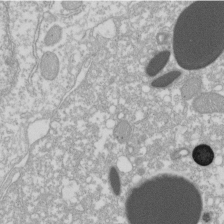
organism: Xenopus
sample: Cilia; centrioles in frog embryo cells